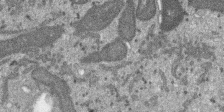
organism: Human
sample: Lung epithelial cells infected with SARS-CoV-2